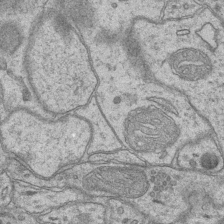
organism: Mouse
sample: CA1 Hippocampus